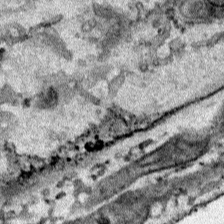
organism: Human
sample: Mitochondria in HCT116 cells